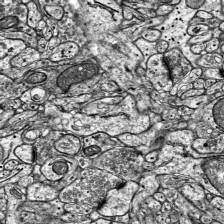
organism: Mouse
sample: Visual Cortex